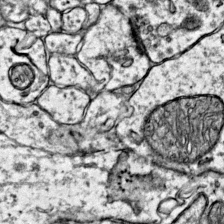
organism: Mouse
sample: Primary visual cortex